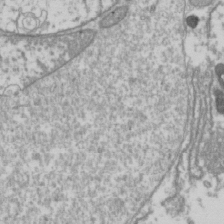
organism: Drosophila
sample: Cell division; meiosis; drosophila spermatocytes